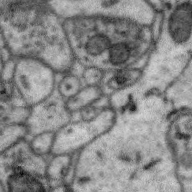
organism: Zebra finch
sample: Brain